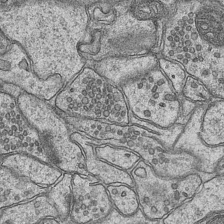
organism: Mouse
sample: CA1 Hippocampus